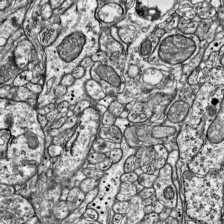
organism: Mouse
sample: Visual Cortex